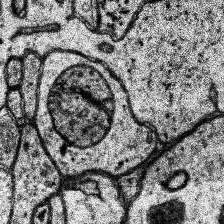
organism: Human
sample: Temporal Lobe